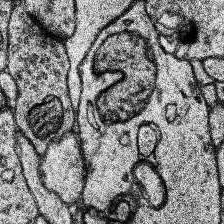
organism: Human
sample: Temporal Lobe